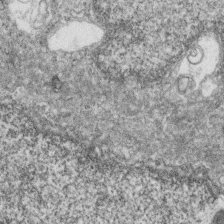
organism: Zebrafish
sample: Cilia; retinal pigment epithelium